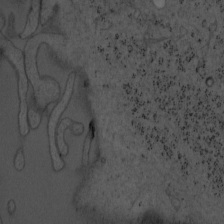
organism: Mouse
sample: OT-I killer T cells with ID8 ovarian cancer cells